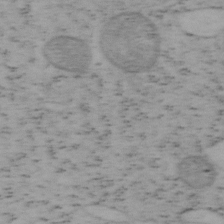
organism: Mouse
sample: OT-I killer T cells with ID8 ovarian cancer cells